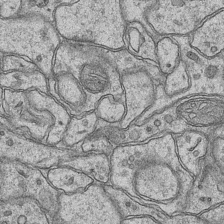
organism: Mouse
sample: CA1 Hippocampus